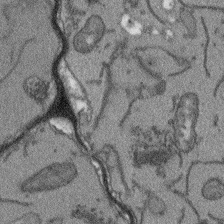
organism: Arabidopsis thaliana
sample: Root tip